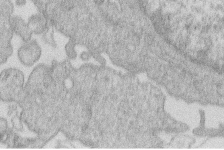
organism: Human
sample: Macrophage cells